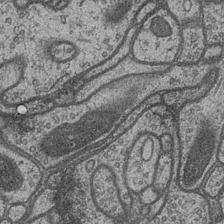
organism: Drosophila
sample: Optic medulla